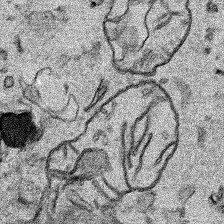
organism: Human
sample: Mitochondria in HCT116 cells